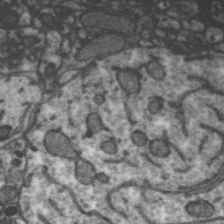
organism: Zebra finch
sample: Brain